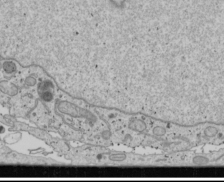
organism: Human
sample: Mitochondria in U2OS cells